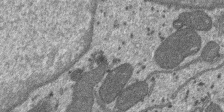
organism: Human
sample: Lung epithelial cells infected with SARS-CoV-2